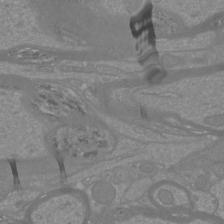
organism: Mouse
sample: Cortical neurons